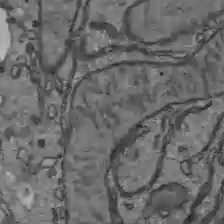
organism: C57BL Mouse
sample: Liver